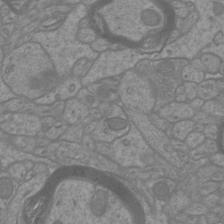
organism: Mouse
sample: Cortical neurons